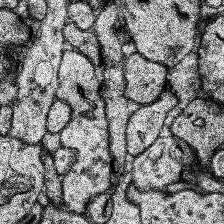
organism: Human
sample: Temporal Lobe